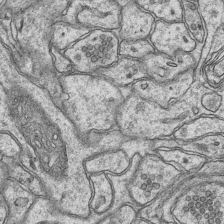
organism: Mouse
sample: CA1 Hippocampus